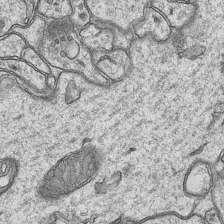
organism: Mouse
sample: CA1 Hippocampus